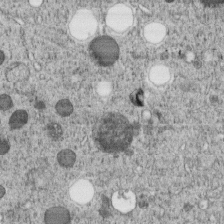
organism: C. elegans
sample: C. elegans embryo early stage